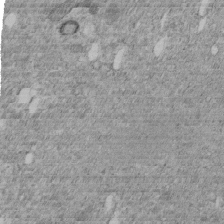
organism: C. elegans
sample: C. elegans embryo early stage